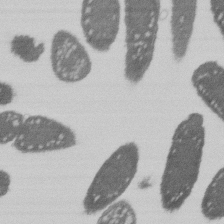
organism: E. coli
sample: Bacterial nucleoid